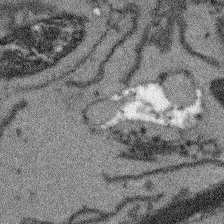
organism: Arabidopsis thaliana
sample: Root tip